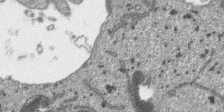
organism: Human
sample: Lung epithelial cells infected with SARS-CoV-2